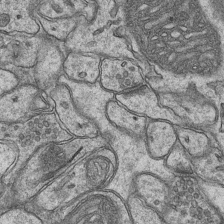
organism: Mouse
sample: CA1 Hippocampus